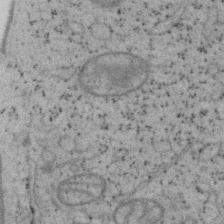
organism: Human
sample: HeLa cells